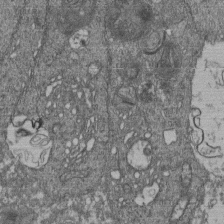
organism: Human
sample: Retinal organoid Rod and Cone cells